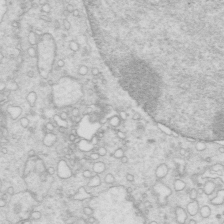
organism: Mouse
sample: Multiciliated cells